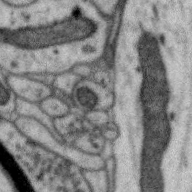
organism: Zebra finch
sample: Brain